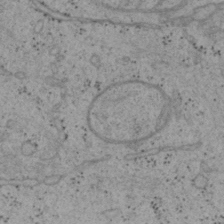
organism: Human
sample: HeLa cells